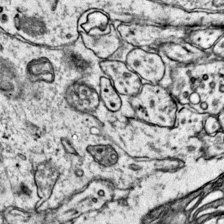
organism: Mouse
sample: Primary visual cortex